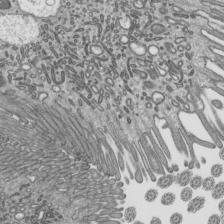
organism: Mouse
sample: Mouse epididymis efferent ductule cilia